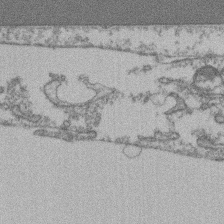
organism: Mouse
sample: T cell stromal cell synapse